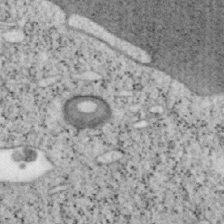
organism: Mouse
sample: OT-I killer T cells with ID8 ovarian cancer cells